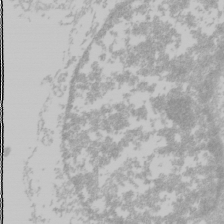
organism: Mouse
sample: Cancer cell death in ED-1 cells